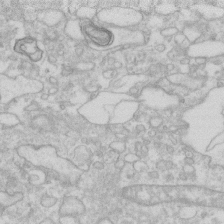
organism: Human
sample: Fibroblast cells